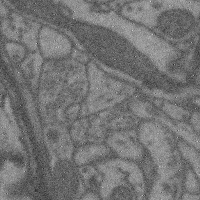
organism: Mouse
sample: Cerebral cortex